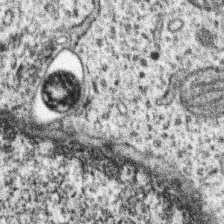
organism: Human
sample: HeLa cells